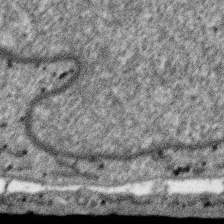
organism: Human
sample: Lung epithelial cells infected with SARS-CoV-2